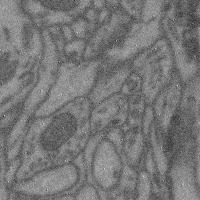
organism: Mouse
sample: Cerebral cortex